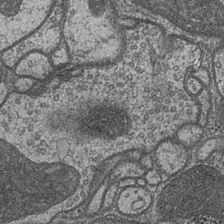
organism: Drosophila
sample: Optic medulla